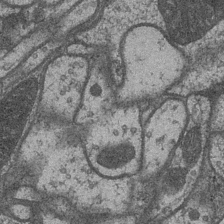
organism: Drosophila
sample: Optic medulla